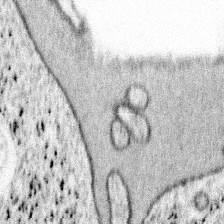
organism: Human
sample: HeLa cells